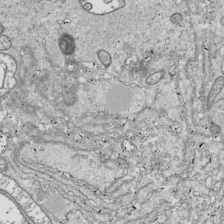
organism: Drosophila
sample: Cell division; meiosis; drosophila spermatocytes